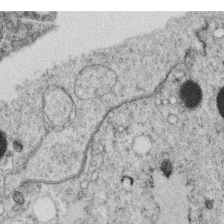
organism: C. elegans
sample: C. elegans oocyte; sperm cells